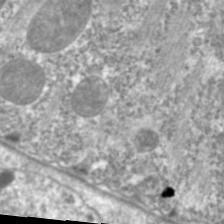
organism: C. elegans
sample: Pharynx